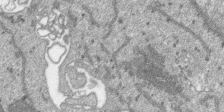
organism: Human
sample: Lung epithelial cells infected with SARS-CoV-2